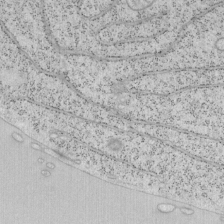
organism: Mouse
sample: OT-I killer T cells with ID8 ovarian cancer cells